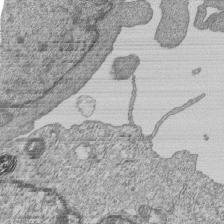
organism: Human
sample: MDA-MB-231 cells